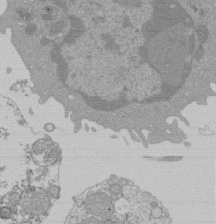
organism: Mouse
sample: Activated Pmel transgenic CD8+ T Cells